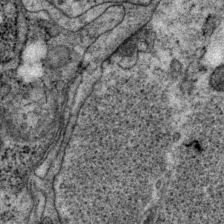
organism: P. pacificus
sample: Pharynx